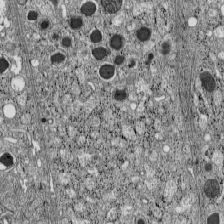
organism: C57BL Mouse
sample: Pancreatic islet